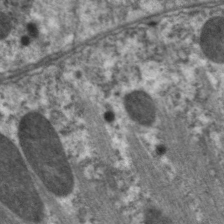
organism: C. elegans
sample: Pharynx